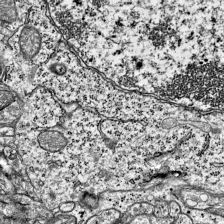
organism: Mouse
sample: Visual Cortex